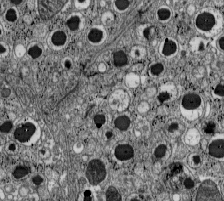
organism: C57BL Mouse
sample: Pancreatic islet